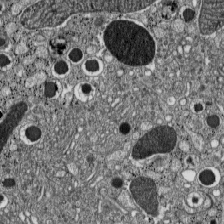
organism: C57BL Mouse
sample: Pancreatic islet